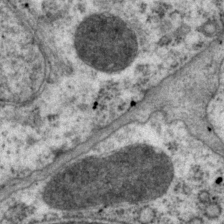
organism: P. pacificus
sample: Pharynx